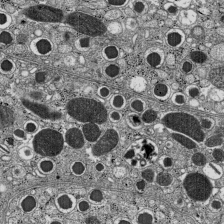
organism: C57BL Mouse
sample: Pancreatic islet